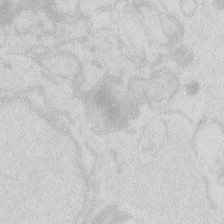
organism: Zebrafish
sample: Macrophage